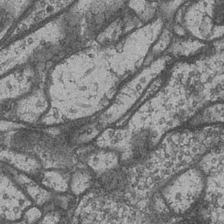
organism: Drosophila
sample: Optic medulla